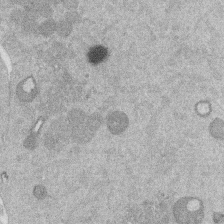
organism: Mouse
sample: Dividing mouse embryo 1 cell stage